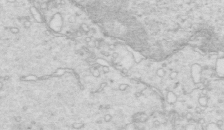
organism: Mouse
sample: Multiciliated cells